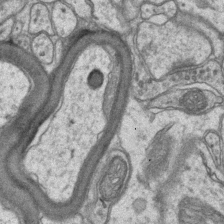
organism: Mouse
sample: CA1 Hippocampus